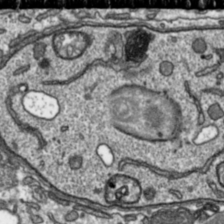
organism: Toxoplasma gondii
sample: Parasites in a vacuole inside a host cell